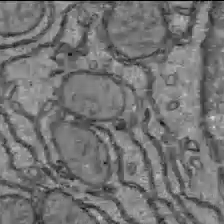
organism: C57BL Mouse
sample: Liver